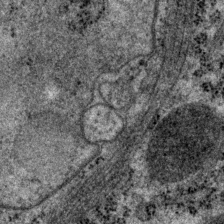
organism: P. pacificus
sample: Pharynx